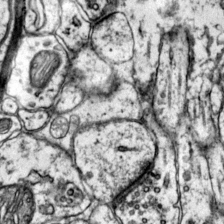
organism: Mouse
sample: Primary visual cortex